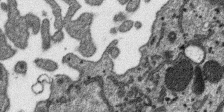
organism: Human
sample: Lung epithelial cells infected with SARS-CoV-2